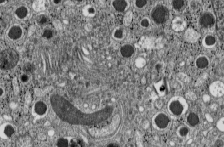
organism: C57BL Mouse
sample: Pancreatic islet